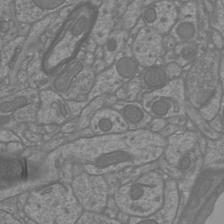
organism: Mouse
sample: Cortical neurons